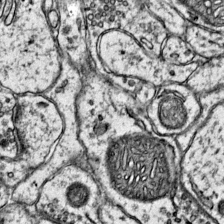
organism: Mouse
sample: Primary visual cortex